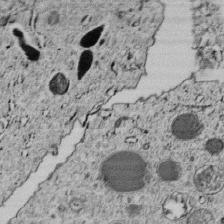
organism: C. elegans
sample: C. elegans embryo early stage